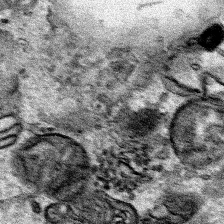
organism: Human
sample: Mitochondria in HCT116 cells